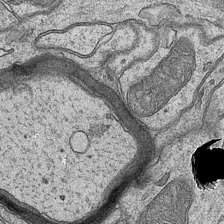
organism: Mouse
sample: CA1 Hippocampus